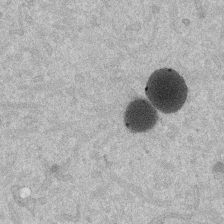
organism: Mouse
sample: Dividing mouse embryo 1 cell stage